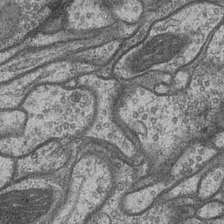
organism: Drosophila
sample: Optic medulla